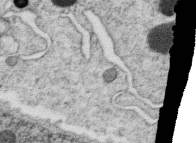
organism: C. elegans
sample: C. elegans oocyte; sperm cells